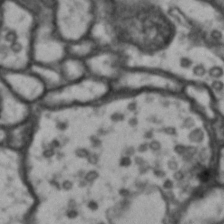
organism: Drosophila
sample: Brain